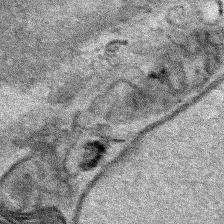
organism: Human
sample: Mitochondria in HCT116 cells